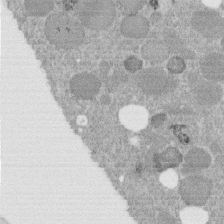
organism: C. elegans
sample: C. elegans embryo early stage